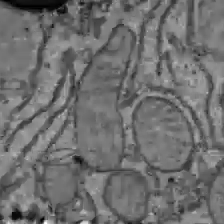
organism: C57BL Mouse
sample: Liver